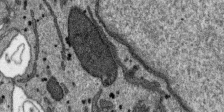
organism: Human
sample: Lung epithelial cells, uninfected (mock) control